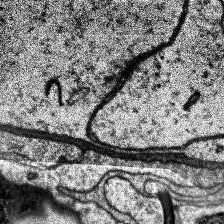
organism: Human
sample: Temporal Lobe